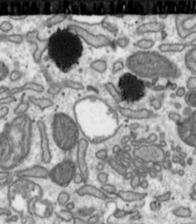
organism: Toxoplasma gondii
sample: Parasites in a vacuole inside a host cell